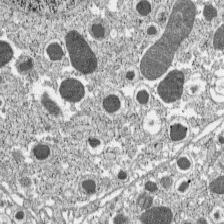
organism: C57BL Mouse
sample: Pancreatic islet